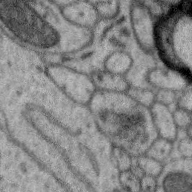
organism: Zebra finch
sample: Brain